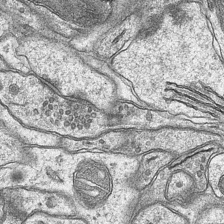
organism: Mouse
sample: CA1 Hippocampus